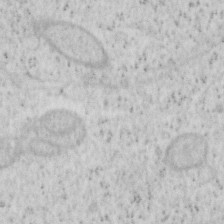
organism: Human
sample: HeLa cells